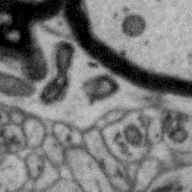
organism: Zebra finch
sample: Brain